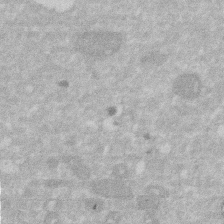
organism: Human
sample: HIV infected U937 cells